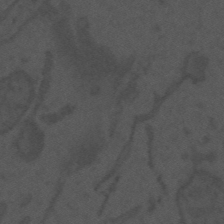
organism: Mouse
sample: Suprachiasmatic nucleus